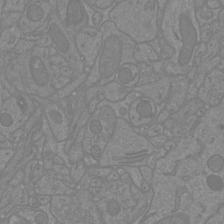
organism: Mouse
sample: Cortical neurons